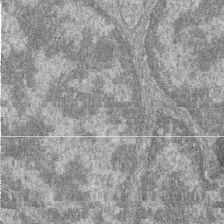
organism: Zebrafish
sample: Cilia; retinal pigment epithelium